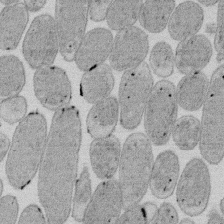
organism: E. coli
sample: Bacterial nucleoid